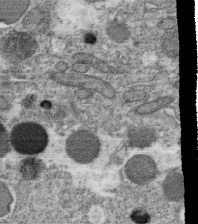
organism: C. elegans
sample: C. elegans oocyte; sperm cells